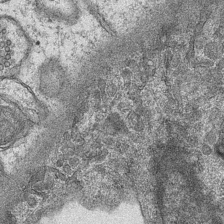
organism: Mouse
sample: CA1 Hippocampus